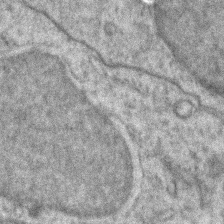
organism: Zebrafish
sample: Zebrafish embryo